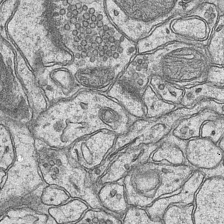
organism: Mouse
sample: CA1 Hippocampus